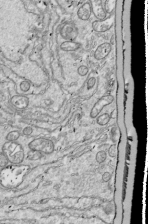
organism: Drosophila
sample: Cell division; meiosis; drosophila spermatocytes